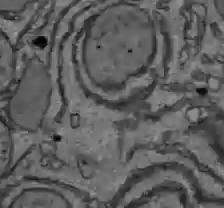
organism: C57BL Mouse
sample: Liver